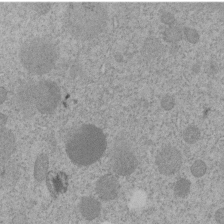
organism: C. elegans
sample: C. elegans embryo early stage